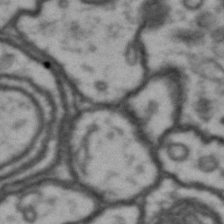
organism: Drosophila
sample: Brain